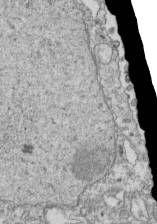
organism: Human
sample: HeLa cell HIV synapse